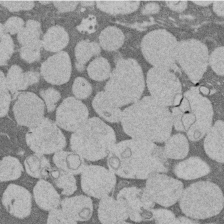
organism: Rat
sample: Salivary granule